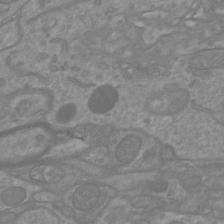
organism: Mouse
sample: Cortical neurons